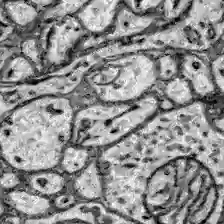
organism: Zebrafish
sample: Brain